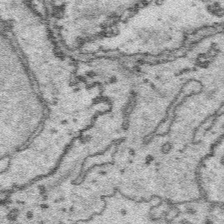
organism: Platynereis dumerilii